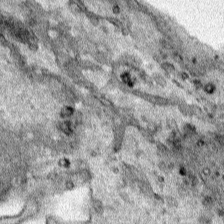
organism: Human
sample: Mitochondria in HCT116 cells